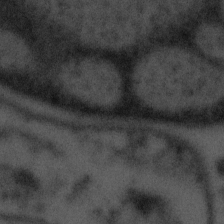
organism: Tuwongella immobilis